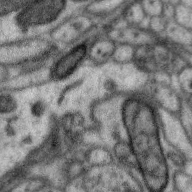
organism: Zebra finch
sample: Brain